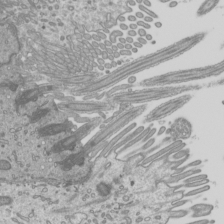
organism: Mouse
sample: Cilia; mouse epididymis